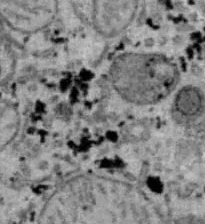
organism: Mouse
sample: Liver from an obese (ob/ob) mouse